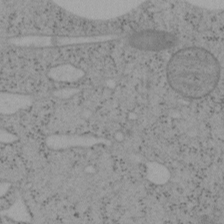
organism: Mouse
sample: OT-I killer T cells with ID8 ovarian cancer cells